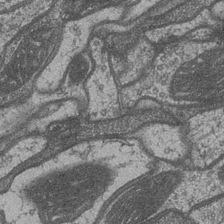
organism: Drosophila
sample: Optic medulla